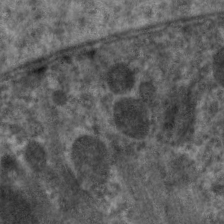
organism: C. elegans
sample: Pharynx